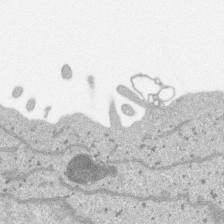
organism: Human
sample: Lung epithelial cells infected with SARS-CoV-2